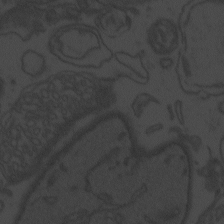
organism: Zebrafish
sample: Macrophage infected with Toxoplasma gondii